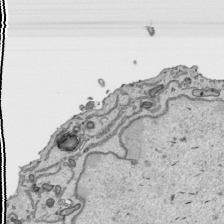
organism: Human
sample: Mitochondria in HCT116 cells